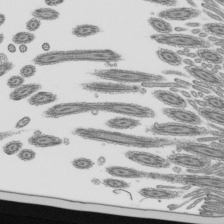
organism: Mouse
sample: Mouse epididymis efferent ductule cilia